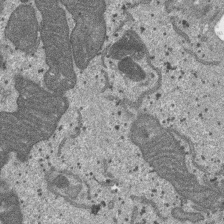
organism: Human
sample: Lung epithelial cells infected with SARS-CoV-2